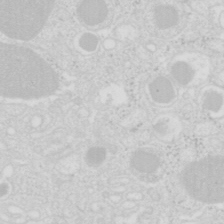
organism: Mouse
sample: Pancreas